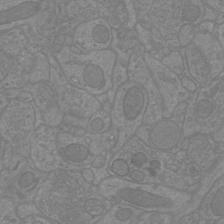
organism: Mouse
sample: Cortical neurons